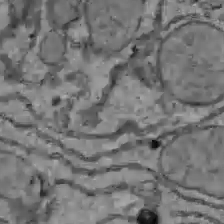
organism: C57BL Mouse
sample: Liver